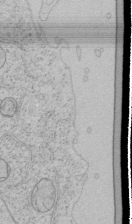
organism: Human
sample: Mitochondria in HCT116 cells